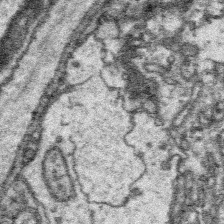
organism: Platynereis dumerilii